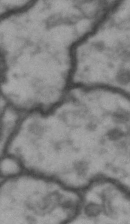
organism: Drosophila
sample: Brain